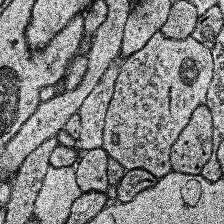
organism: Human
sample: Temporal Lobe